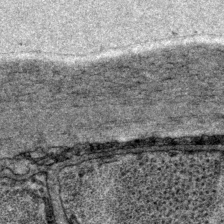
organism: P. pacificus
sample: Pharynx